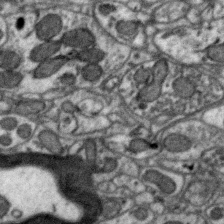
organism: Zebra finch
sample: Brain